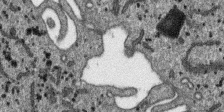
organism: Human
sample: Lung epithelial cells infected with SARS-CoV-2